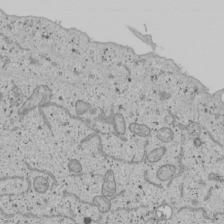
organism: Human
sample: Mitochondria in U2OS cells